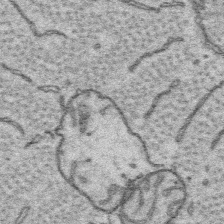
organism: Platynereis dumerilii